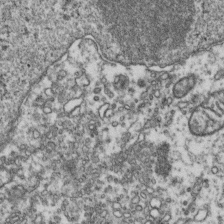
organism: Human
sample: Activated Jurkat CD4+ T cells